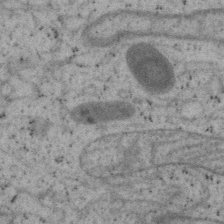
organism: Human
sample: HeLa cells